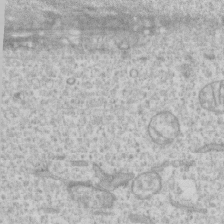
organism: Human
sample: CRL-1474